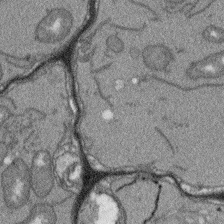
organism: Arabidopsis thaliana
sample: Root tip